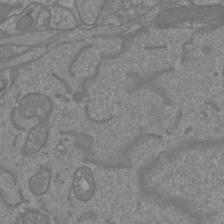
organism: Mouse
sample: Cortical neurons